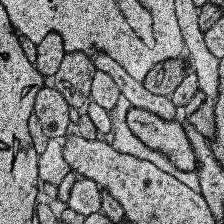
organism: Human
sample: Temporal Lobe